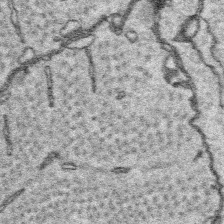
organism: Platynereis dumerilii